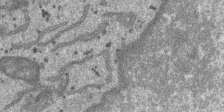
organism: Human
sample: Lung epithelial cells infected with SARS-CoV-2